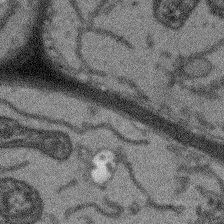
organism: Arabidopsis thaliana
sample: Root tip